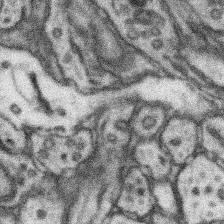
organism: Mouse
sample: Somatosensory cortex neuropil